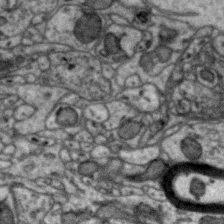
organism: Zebra finch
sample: Brain